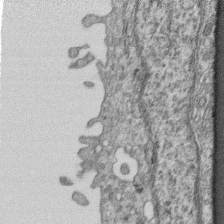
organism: Mouse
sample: Centriole in ependymal cells